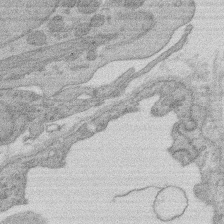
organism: Rat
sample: Salivary granule